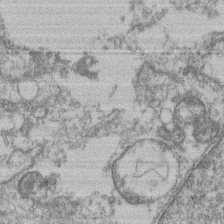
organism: Mouse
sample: T cell stromal cell synapse